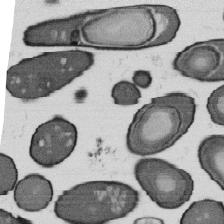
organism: B. subtilis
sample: Bacterial spore